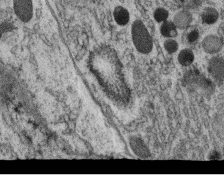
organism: C. elegans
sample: C. elegans oocyte; sperm cells